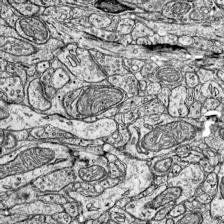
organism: Mouse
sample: Visual Cortex